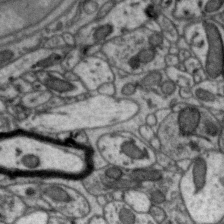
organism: Zebra finch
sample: Brain